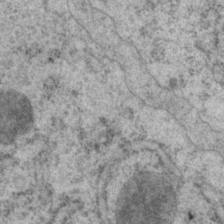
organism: P. pacificus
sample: Pharynx